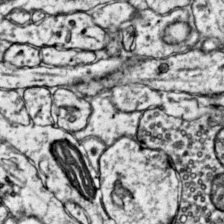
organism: Mouse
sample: Primary visual cortex